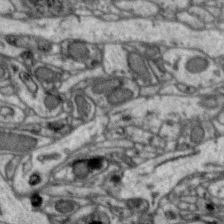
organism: Zebra finch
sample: Brain